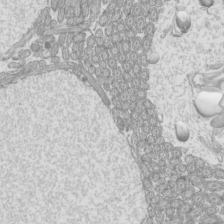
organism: Mouse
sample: Cilia; mouse epididymis